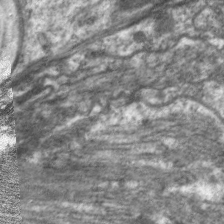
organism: C. elegans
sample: Pharynx